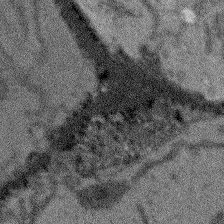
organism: Arabidopsis thaliana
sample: Root tip